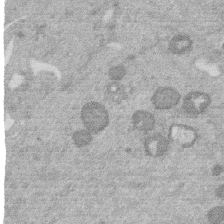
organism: Mouse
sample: Dividing mouse embryo 1 cell stage